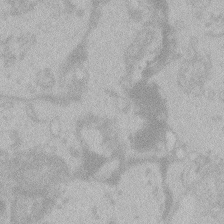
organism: Zebrafish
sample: Macrophage infected with Toxoplasma gondii